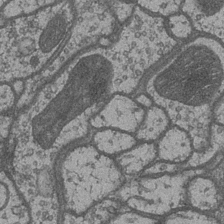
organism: Drosophila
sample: Optic medulla